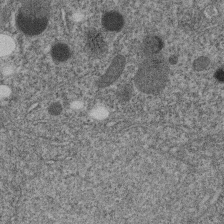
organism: C. elegans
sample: C. elegans embryo early stage